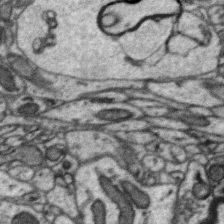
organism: Zebra finch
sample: Brain